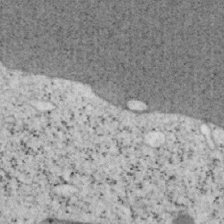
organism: Mouse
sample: OT-I killer T cells with ID8 ovarian cancer cells